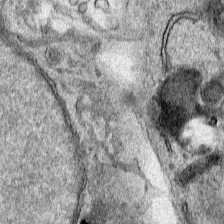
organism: Human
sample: Mitochondria in HCT116 cells